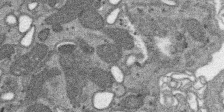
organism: Human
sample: Lung epithelial cells infected with SARS-CoV-2